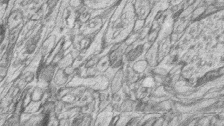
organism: Zebrafish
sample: synaptic ribbons in rod cells and cone cells